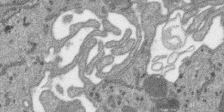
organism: Human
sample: Lung epithelial cells infected with SARS-CoV-2